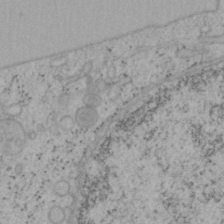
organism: Human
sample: HeLa cells